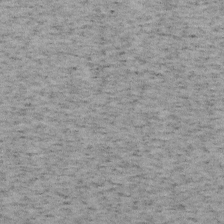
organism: Mouse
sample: OT-I killer T cells with ID8 ovarian cancer cells